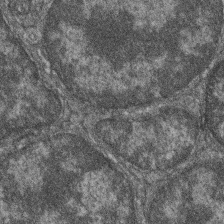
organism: Zebrafish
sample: Cilia; retinal pigment epithelium